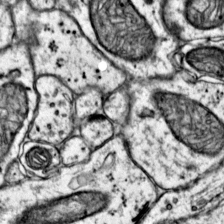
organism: Mouse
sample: Primary visual cortex